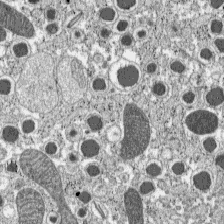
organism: C57BL Mouse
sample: Pancreatic islet